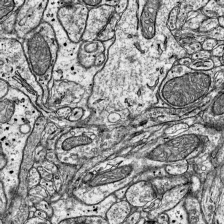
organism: Mouse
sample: Visual Cortex